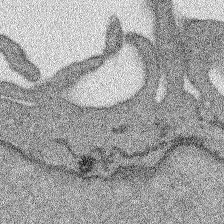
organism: Human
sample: HeLa cells